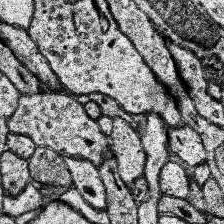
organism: Human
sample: Temporal Lobe